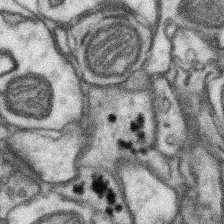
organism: Mouse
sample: Somatosensory cortex neuropil